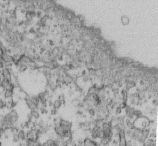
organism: Mouse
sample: Cilia; retinal pigment epithelium